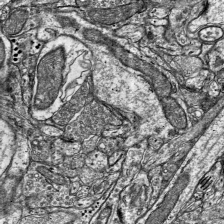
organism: Mouse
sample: Visual Cortex